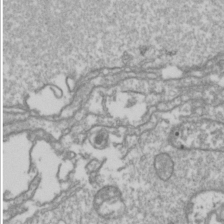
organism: Drosophila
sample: Cell division; meiosis; drosophila spermatocytes